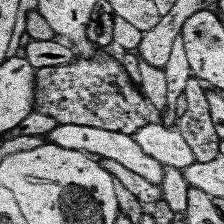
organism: Human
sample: Temporal Lobe